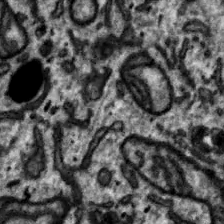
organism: Human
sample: HeLa cells